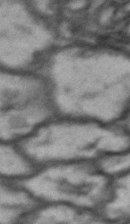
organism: Drosophila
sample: Brain